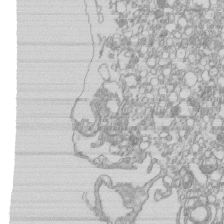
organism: Mouse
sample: Macrophages